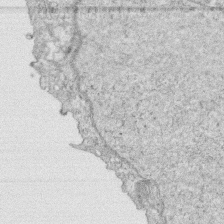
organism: Human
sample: HeLa cell HIV synapse